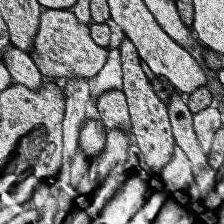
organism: Human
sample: Temporal Lobe